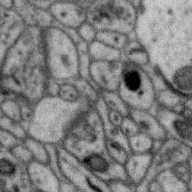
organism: Zebra finch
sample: Brain